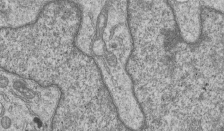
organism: Human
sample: MDA-MB-231 cells